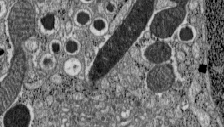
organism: C57BL Mouse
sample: Pancreatic islet